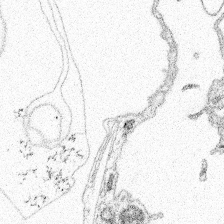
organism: Spongilla lacustris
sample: Multiple